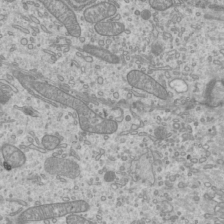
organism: Mouse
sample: Cilia; mouse epididymis